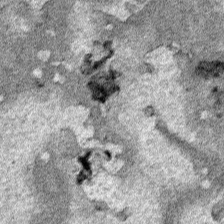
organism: Human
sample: Mitochondria in HCT116 cells